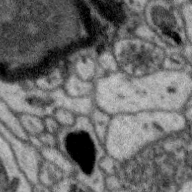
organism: Zebra finch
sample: Brain